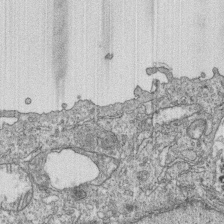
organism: Human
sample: HeLa cell HIV synapse